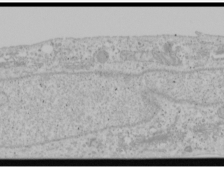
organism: Human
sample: Mitochondria in U2OS cells